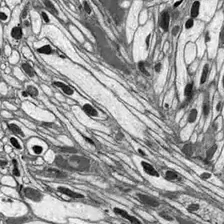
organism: Drosophila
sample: Optic lobe